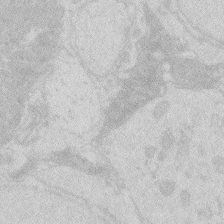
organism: Zebrafish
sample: Macrophage